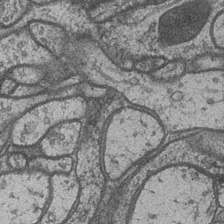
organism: Drosophila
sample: Optic medulla